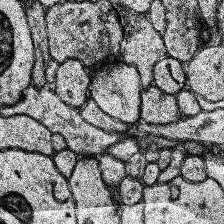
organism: Human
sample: Temporal Lobe